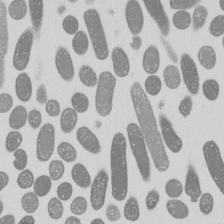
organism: E. coli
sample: Bacterial nucleoid